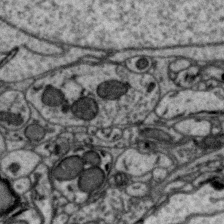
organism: Zebra finch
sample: Brain